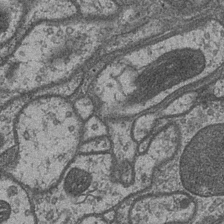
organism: Drosophila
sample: Optic medulla